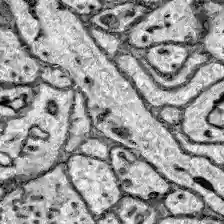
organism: Zebrafish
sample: Brain